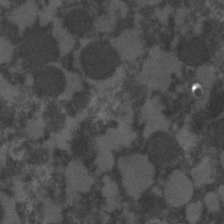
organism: C. elegans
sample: C. elegans embryo